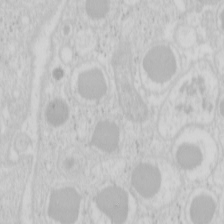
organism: Mouse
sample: Pancreas